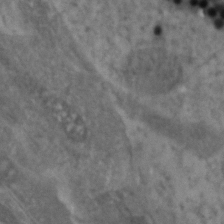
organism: Zebrafish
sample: Zebrafish embryo